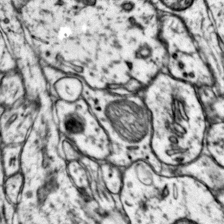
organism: Mouse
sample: Primary visual cortex